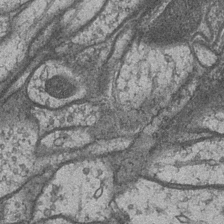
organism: Drosophila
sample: Optic medulla